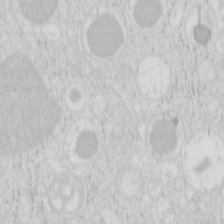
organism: Mouse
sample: Pancreas